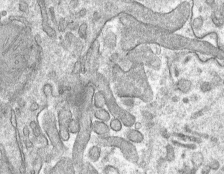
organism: Mouse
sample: Mouse hepatocytes